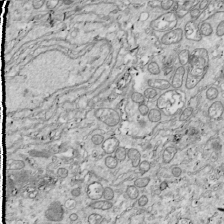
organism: Drosophila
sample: Cell division; meiosis; drosophila spermatocytes